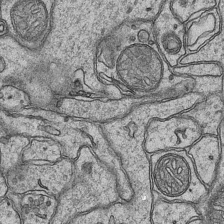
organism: Mouse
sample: CA1 Hippocampus